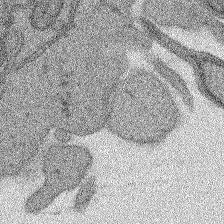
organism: Human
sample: HeLa cells